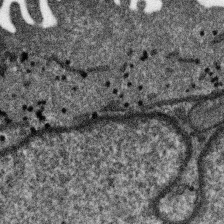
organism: Human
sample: Lung epithelial cells infected with SARS-CoV-2